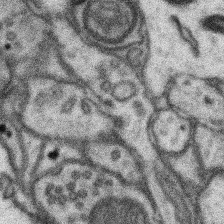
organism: Mouse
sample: Somatosensory cortex neuropil